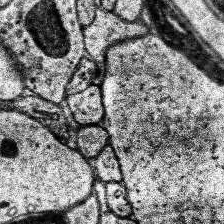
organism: Human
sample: Temporal Lobe